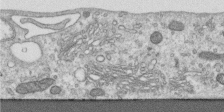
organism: Human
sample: Centriole in RPE cells